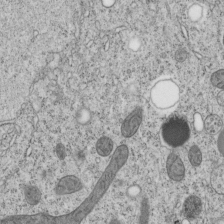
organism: C. elegans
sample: C. elegans embryo early stage